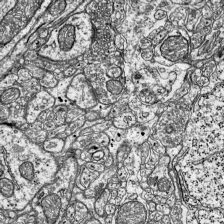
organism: Mouse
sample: Visual Cortex